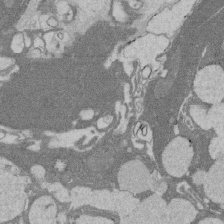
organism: Rat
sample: Salivary granule